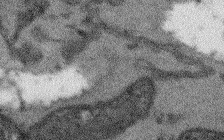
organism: Arabidopsis thaliana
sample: Root tip